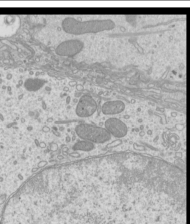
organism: Mouse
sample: Cilia; mouse epididymis